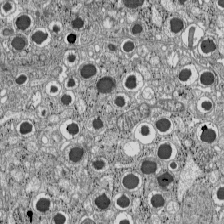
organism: C57BL Mouse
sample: Pancreatic islet